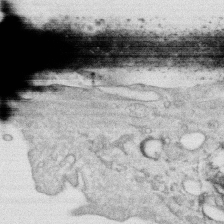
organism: Human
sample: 1205lu cells